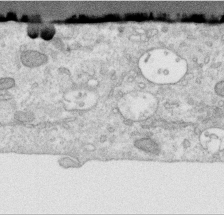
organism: Human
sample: Centriole in RPE cells